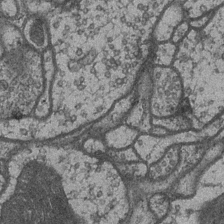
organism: Drosophila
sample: Optic medulla